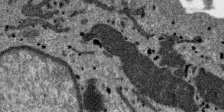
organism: Human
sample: Lung epithelial cells, uninfected (mock) control